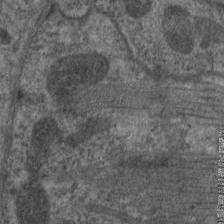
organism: C. elegans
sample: Pharynx